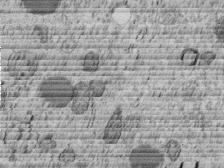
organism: C. elegans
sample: C. elegans embryo early stage